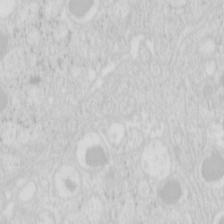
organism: Mouse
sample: Pancreas